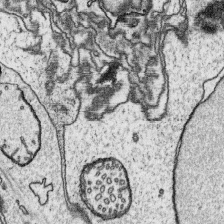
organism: Platynereis dumerilii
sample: Parapodia